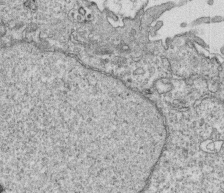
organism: Human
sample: HeLa cell HIV synapse